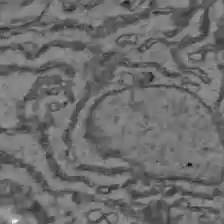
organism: C57BL Mouse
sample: Liver